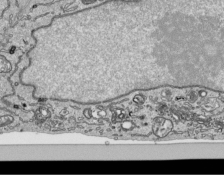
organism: Human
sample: Mitochondria in HCT116 cells